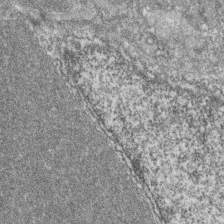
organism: Zebrafish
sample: Cilia; retinal pigment epithelium